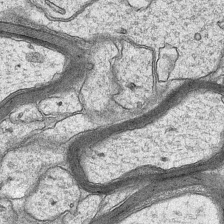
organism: Mouse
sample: CA1 Hippocampus